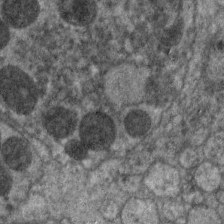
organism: C. elegans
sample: Pharynx